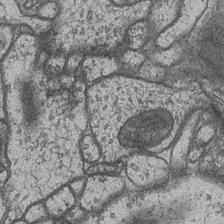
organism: Drosophila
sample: Optic medulla